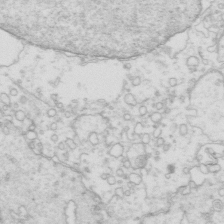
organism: Mouse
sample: Multiciliated cells